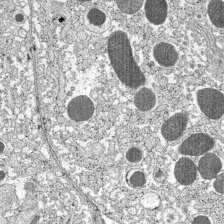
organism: C57BL Mouse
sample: Pancreatic islet